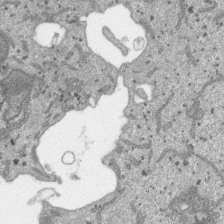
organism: Human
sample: Lung epithelial cells infected with SARS-CoV-2